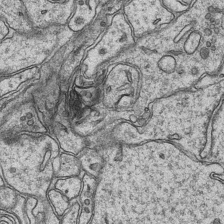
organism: Mouse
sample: CA1 Hippocampus